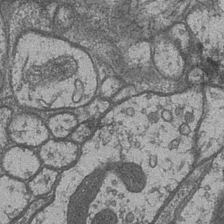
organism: Drosophila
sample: Optic medulla